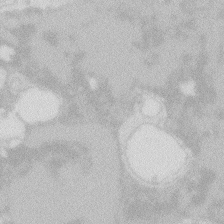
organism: Zebrafish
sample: Macrophage